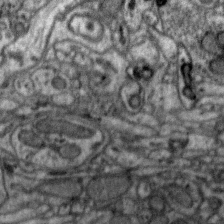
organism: Zebra finch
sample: Brain